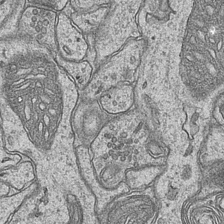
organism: Mouse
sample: CA1 Hippocampus